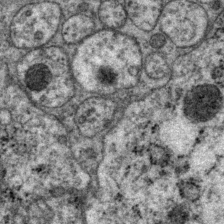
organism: P. pacificus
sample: Pharynx